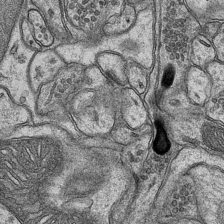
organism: Mouse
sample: CA1 Hippocampus